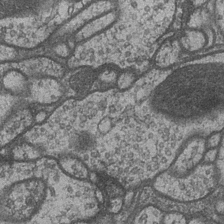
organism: Drosophila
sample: Optic medulla